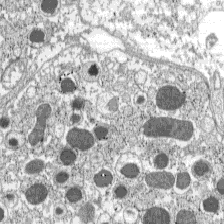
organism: C57BL Mouse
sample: Pancreatic islet